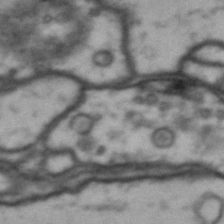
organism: Drosophila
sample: Brain